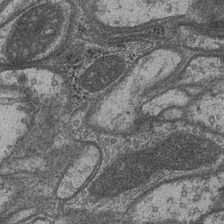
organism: Drosophila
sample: Optic medulla